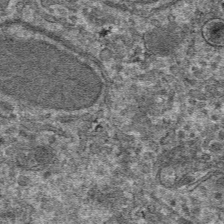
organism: Mouse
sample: Mouse hepatocytes